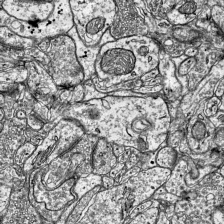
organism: Mouse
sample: Visual Cortex